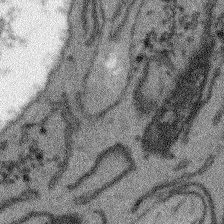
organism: Arabidopsis thaliana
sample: Root tip